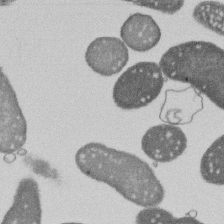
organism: E. coli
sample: Bacterial nucleoid